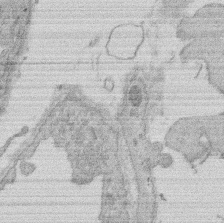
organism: Rat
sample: Salivary granule